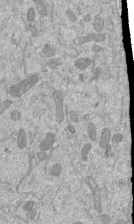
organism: Mouse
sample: ED-1 cell nuclei; centrioles